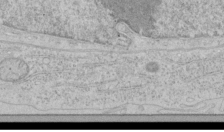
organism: Human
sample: Mitochondria in HCT116 cells